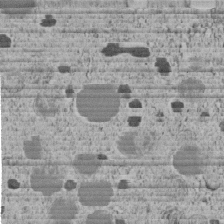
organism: C. elegans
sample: C. elegans embryo early stage